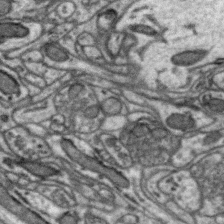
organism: Zebra finch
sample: Brain